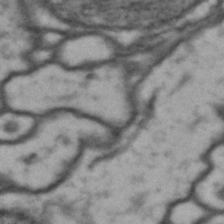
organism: Drosophila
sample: Brain